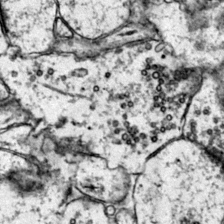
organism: Mouse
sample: Primary visual cortex